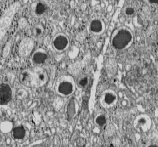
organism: C57BL Mouse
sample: Pancreatic islet